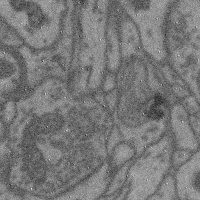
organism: Mouse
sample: Cerebral cortex